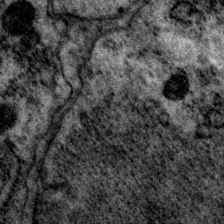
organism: P. pacificus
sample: Pharynx